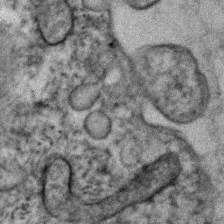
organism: Human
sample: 1205lu cells